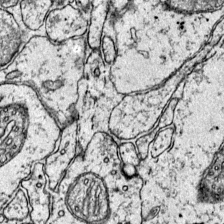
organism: Mouse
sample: Primary visual cortex